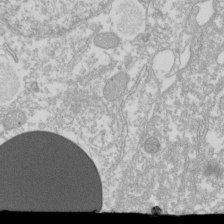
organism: Xenopus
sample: Cilia; centrioles in frog embryo cells